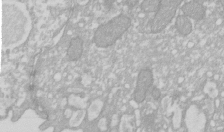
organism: Xenopus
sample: Cilia; centrioles in frog embryo cells